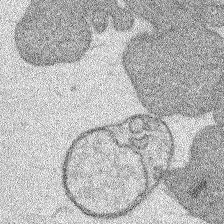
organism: Human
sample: HeLa cells